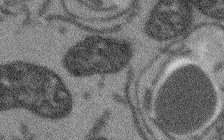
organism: Arabidopsis thaliana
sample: Root tip